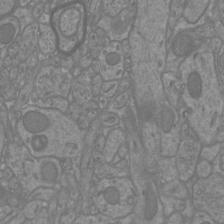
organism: Mouse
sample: Cortical neurons